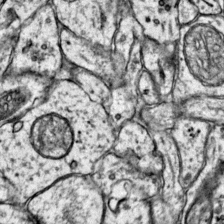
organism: Mouse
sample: Primary visual cortex